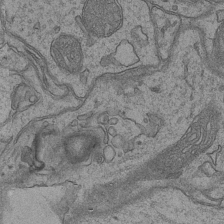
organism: Mouse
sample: CA1 Hippocampus